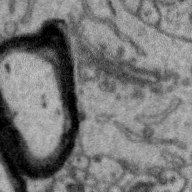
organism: Zebra finch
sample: Brain